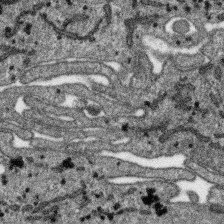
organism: Human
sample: Lung epithelial cells infected with SARS-CoV-2